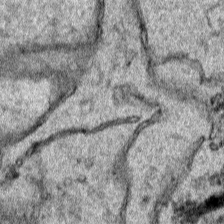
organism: Human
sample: Mitochondria in HCT116 cells